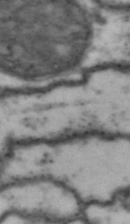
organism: Drosophila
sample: Brain